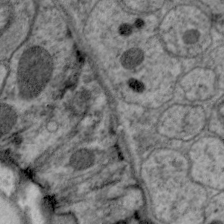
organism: C. elegans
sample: Pharynx